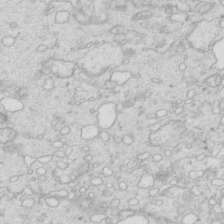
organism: Mouse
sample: Multiciliated cells